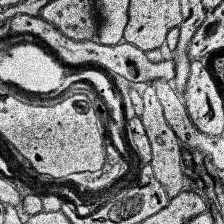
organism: Human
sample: Temporal Lobe